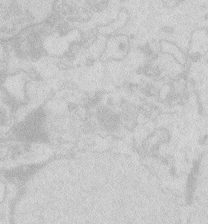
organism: Zebrafish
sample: Macrophage